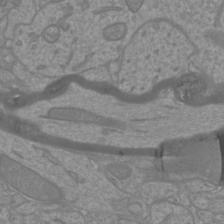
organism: Mouse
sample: Cortical neurons